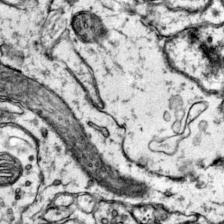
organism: Mouse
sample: Primary visual cortex